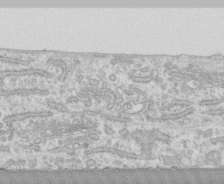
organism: Human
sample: CRL-1474